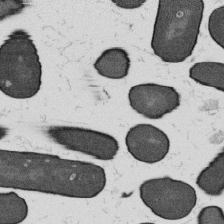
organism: B. subtilis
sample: Bacterial spore